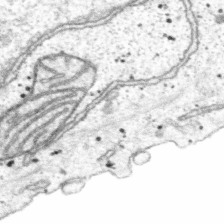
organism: Human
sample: HeLa cells